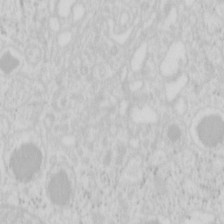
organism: Mouse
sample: Pancreas